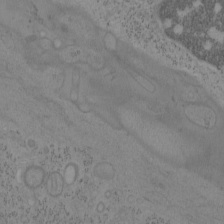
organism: Mouse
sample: OT-I killer T cells with ID8 ovarian cancer cells